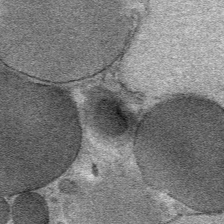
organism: Mouse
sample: Mouse Salivary gland